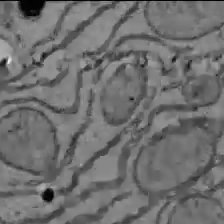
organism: C57BL Mouse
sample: Liver